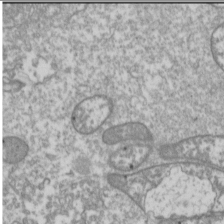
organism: Drosophila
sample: Cell division; meiosis; drosophila spermatocytes